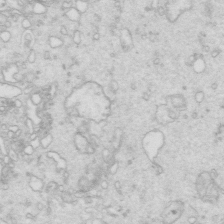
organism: Mouse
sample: Multiciliated cells